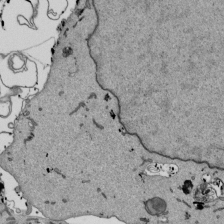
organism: Mouse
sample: ED-1 cell nuclei; centrioles